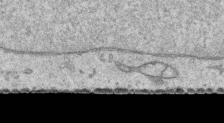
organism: Human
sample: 1205lu cells